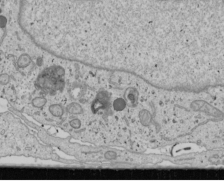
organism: Human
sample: Mitochondria in U2OS cells